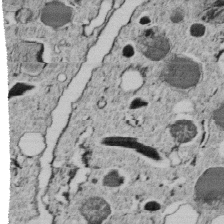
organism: C. elegans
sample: C. elegans embryo early stage